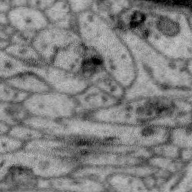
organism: Zebra finch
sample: Brain